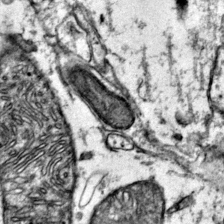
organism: Mouse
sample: Primary visual cortex